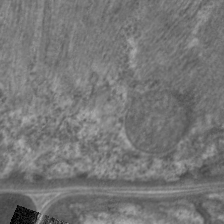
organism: C. elegans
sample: Pharynx